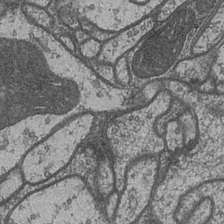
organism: Drosophila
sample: Optic medulla